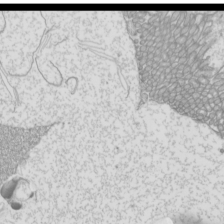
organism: Mouse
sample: Cilia; mouse epididymis